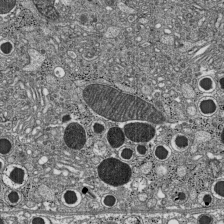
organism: C57BL Mouse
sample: Pancreatic islet